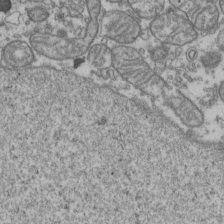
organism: Human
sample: Activated Jurkat CD4+ T cells